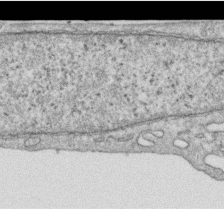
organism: Human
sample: Centriole in RPE cells